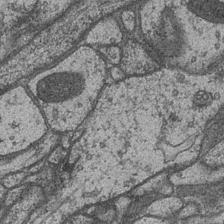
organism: Drosophila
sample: Optic medulla